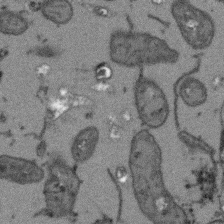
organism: Arabidopsis thaliana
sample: Root tip